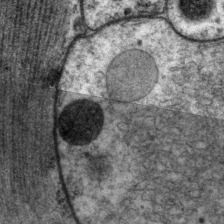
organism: P. pacificus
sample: Pharynx